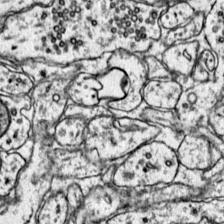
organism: Mouse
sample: Primary visual cortex